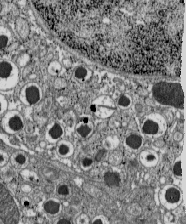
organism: C57BL Mouse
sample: Pancreatic islet